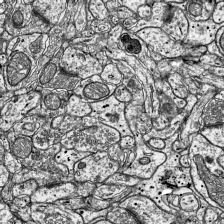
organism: Mouse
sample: Visual Cortex